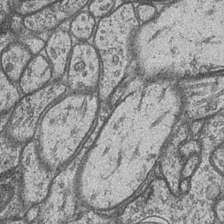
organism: Drosophila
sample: Optic medulla